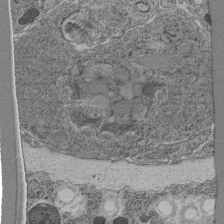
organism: C. elegans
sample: C. elegans pharynx